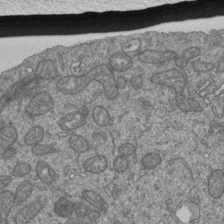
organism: Human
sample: Retinal organoid Rod and Cone cells